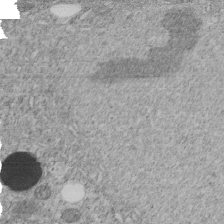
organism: C. elegans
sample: C. elegans embryo early stage